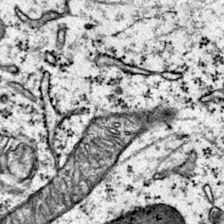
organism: Mouse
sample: Primary visual cortex